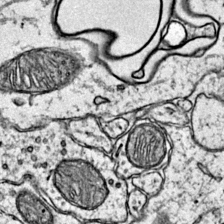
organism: Mouse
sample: Primary visual cortex